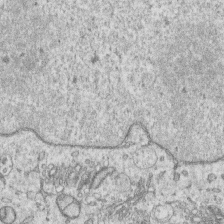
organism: Human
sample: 1205lu cells